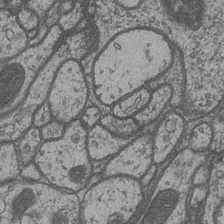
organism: Drosophila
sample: Optic medulla